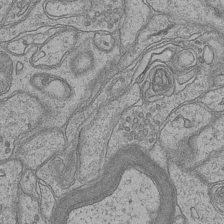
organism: Mouse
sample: CA1 Hippocampus